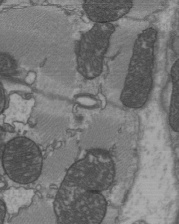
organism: C57BL Mouse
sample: Heart